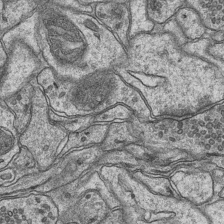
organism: Mouse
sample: CA1 Hippocampus